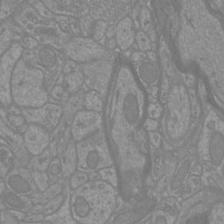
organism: Mouse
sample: Cortical neurons